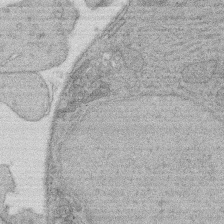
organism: Rat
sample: Salivary granule